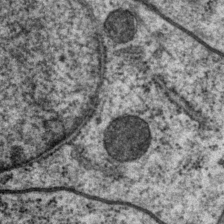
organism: P. pacificus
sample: Pharynx